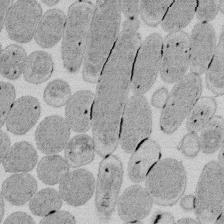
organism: E. coli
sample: Bacterial nucleoid